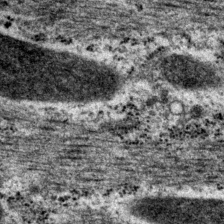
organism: P. pacificus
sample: Pharynx